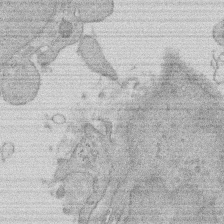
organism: Rat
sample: Salivary granule